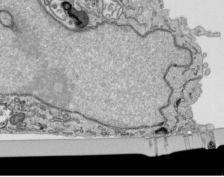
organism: Human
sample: Mitochondria in HCT116 cells